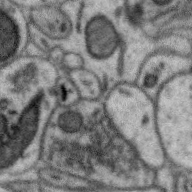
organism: Zebra finch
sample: Brain